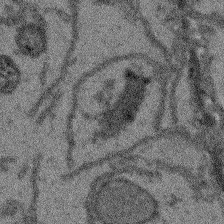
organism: Arabidopsis thaliana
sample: Root tip